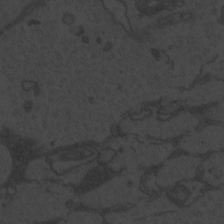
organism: Zebrafish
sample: Macrophage infected with Toxoplasma gondii